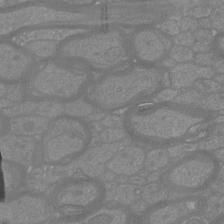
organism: Mouse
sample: Cortical neurons